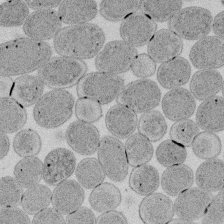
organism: E. coli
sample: Bacterial nucleoid